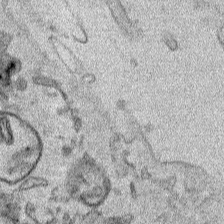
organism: Human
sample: Mitochondria in HCT116 cells